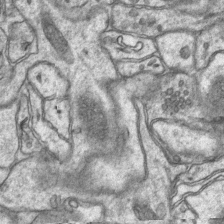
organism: Mouse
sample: CA1 Hippocampus